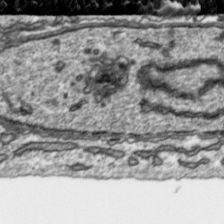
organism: Toxoplasma gondii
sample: Parasites in a vacuole inside a host cell